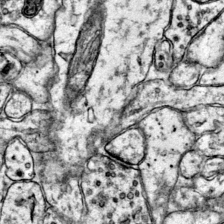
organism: Mouse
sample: Primary visual cortex